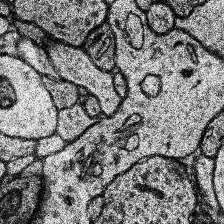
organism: Human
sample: Temporal Lobe